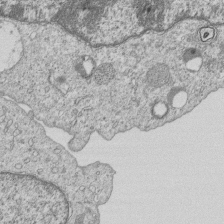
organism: Human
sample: MDA-MB-231 cells